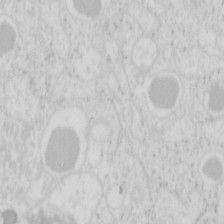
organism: Mouse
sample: Pancreas